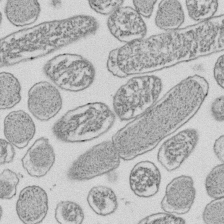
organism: E. coli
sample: Bacterial nucleoid